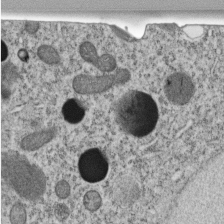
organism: C. elegans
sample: C. elegans embryo early stage